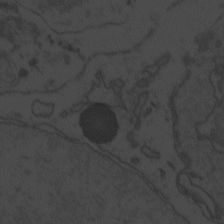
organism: Zebrafish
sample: Macrophage infected with Toxoplasma gondii